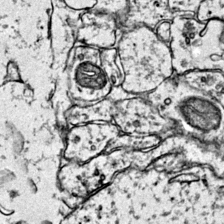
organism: Mouse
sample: Primary visual cortex